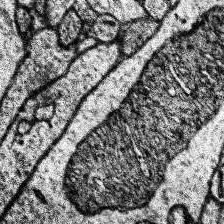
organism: Human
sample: Temporal Lobe